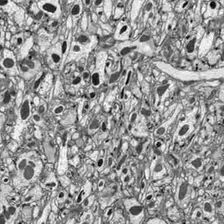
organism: Drosophila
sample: Optic lobe